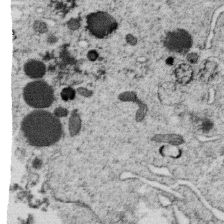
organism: C. elegans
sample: C. elegans oocyte; sperm cells